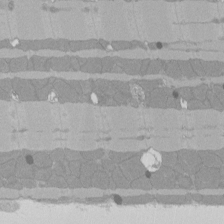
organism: Rat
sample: Left ventricle